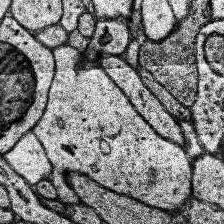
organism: Human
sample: Temporal Lobe